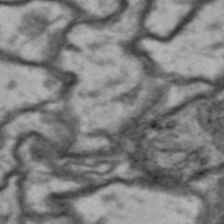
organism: Drosophila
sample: Brain